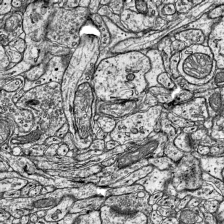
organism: Mouse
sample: Visual Cortex